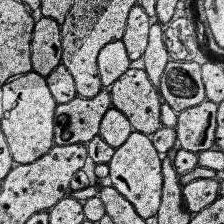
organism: Human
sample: Temporal Lobe